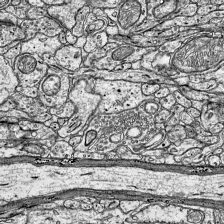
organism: Mouse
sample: Visual Cortex